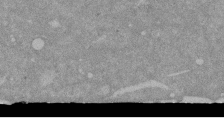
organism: Mouse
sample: ED-1 cell nuclei; centrioles